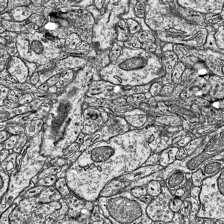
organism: Mouse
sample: Visual Cortex